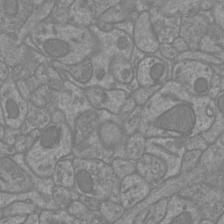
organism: Mouse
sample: Cortical neurons